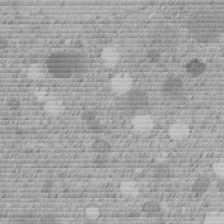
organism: C. elegans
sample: C. elegans embryo early stage